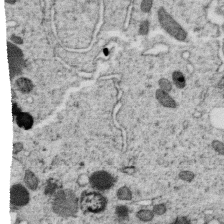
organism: C. elegans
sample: C. elegans oocyte; sperm cells